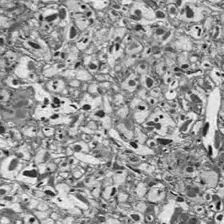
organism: Drosophila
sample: Optic lobe